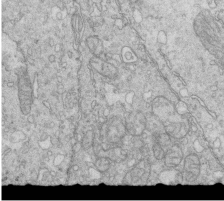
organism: Mouse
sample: Multiciliated cells